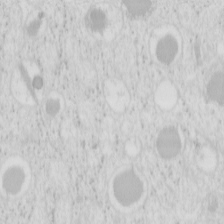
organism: Mouse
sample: Pancreas